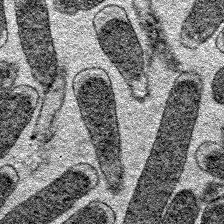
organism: E. coli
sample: E. Coli Bacteria